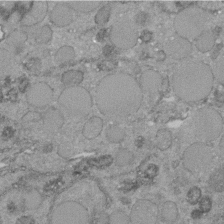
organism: C. elegans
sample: C. elegans embryo early stage